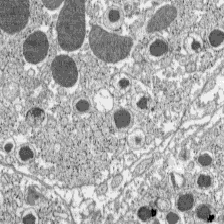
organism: C57BL Mouse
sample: Pancreatic islet